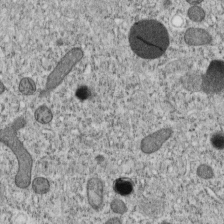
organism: C. elegans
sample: C. elegans embryo early stage